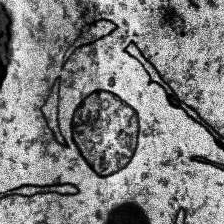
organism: Human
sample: Temporal Lobe